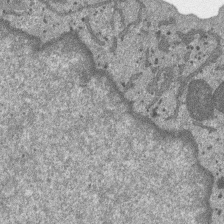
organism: Human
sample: Lung epithelial cells infected with SARS-CoV-2